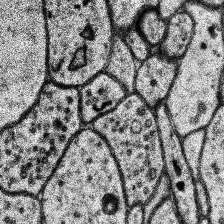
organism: Human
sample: Temporal Lobe